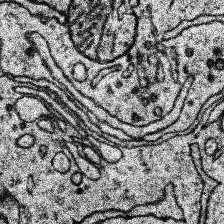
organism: Human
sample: Temporal Lobe